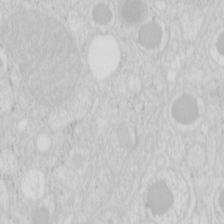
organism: Mouse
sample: Pancreas